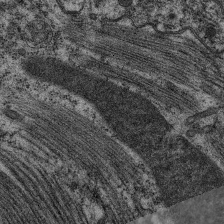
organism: C. elegans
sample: Pharynx